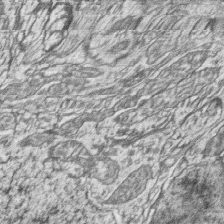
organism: Zebrafish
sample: synaptic ribbons in rod cells and cone cells